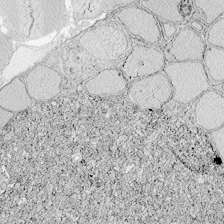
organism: Zebrafish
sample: Whole-Brain